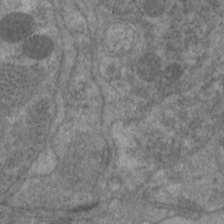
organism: C. elegans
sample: Pharynx